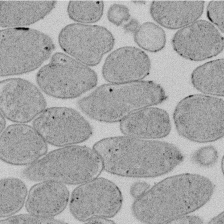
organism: E. coli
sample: Bacterial nucleoid